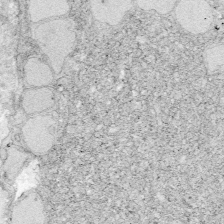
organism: Zebrafish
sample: Whole-Brain